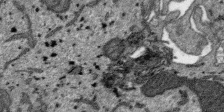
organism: Human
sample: Lung epithelial cells, uninfected (mock) control